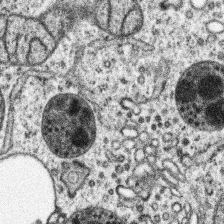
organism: Human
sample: HeLa cells